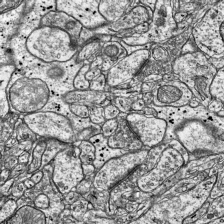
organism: Mouse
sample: Visual Cortex